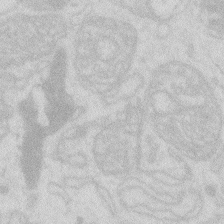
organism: Zebrafish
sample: Macrophage